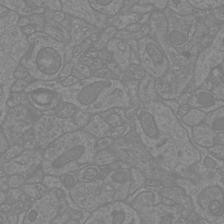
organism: Mouse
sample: Cortical neurons